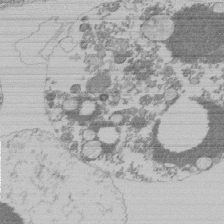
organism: Mouse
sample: Activated Pmel transgenic CD8+ T Cells